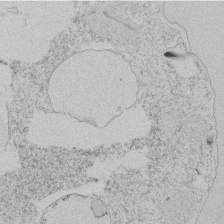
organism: Tetrahymena